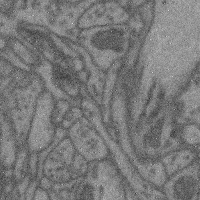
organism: Mouse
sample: Cerebral cortex